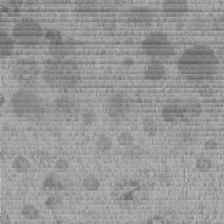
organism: C. elegans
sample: C. elegans embryo early stage